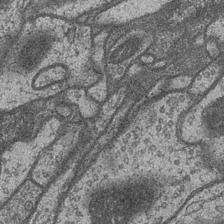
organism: Drosophila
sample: Optic medulla